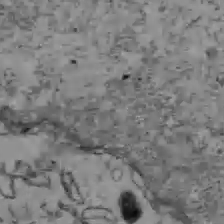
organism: C57BL Mouse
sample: Liver